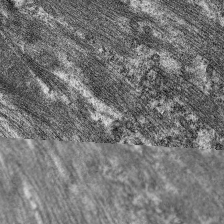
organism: C. elegans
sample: Pharynx